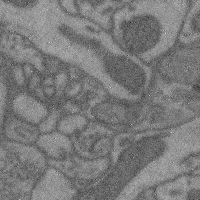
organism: Mouse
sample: Cerebral cortex